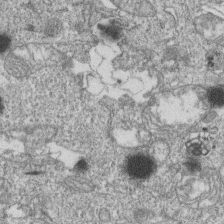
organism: Human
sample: HeLa cell HIV synapse